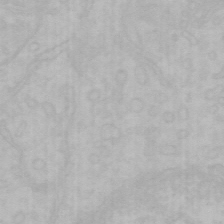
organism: Mouse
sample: Choroid plexus